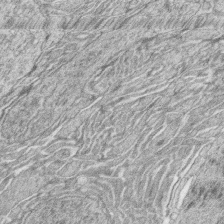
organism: Zebrafish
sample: synaptic ribbons in rod cells and cone cells